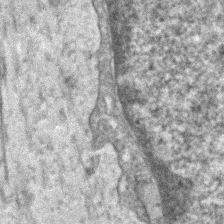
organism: Human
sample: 1205lu cells